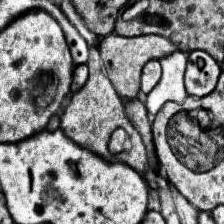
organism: Human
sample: Temporal Lobe